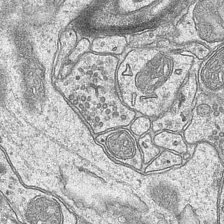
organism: Mouse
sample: CA1 Hippocampus